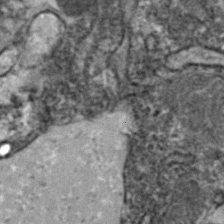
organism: Zebrafish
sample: Zebrafish embryo